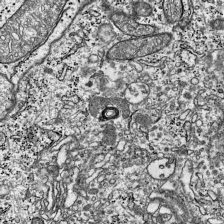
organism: Mouse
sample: Visual Cortex